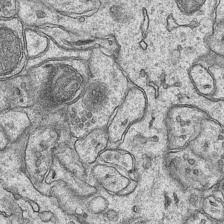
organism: Mouse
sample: CA1 Hippocampus